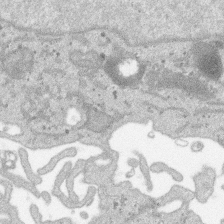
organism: Human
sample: Lung epithelial cells infected with SARS-CoV-2